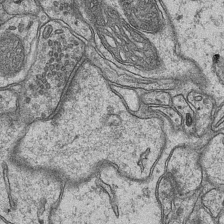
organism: Mouse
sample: CA1 Hippocampus